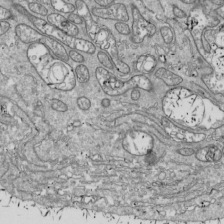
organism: Drosophila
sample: Cell division; meiosis; drosophila spermatocytes